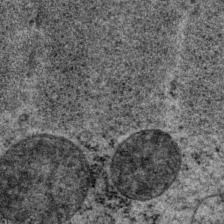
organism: P. pacificus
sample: Pharynx